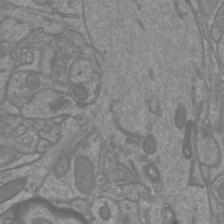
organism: Mouse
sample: Cortical neurons